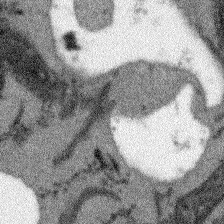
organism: Arabidopsis thaliana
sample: Root tip